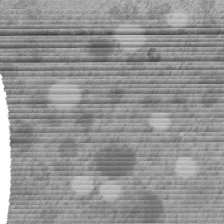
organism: C. elegans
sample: C. elegans embryo early stage